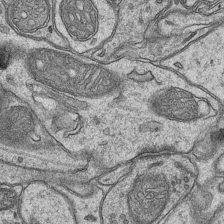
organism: Mouse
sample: CA1 Hippocampus